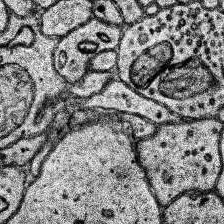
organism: Human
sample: Temporal Lobe